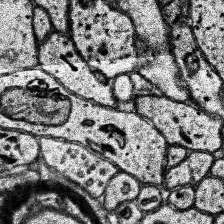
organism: Human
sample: Temporal Lobe